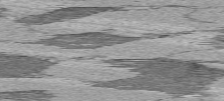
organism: C57BL Mouse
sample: Heart